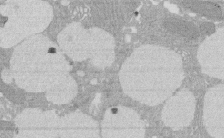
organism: Rat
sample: Salivary granule